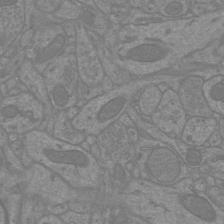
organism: Mouse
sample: Cortical neurons